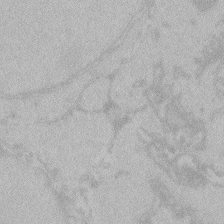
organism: Zebrafish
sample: Macrophage infected with Toxoplasma gondii